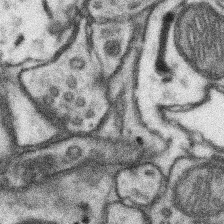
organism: Mouse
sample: Somatosensory cortex neuropil